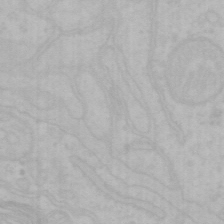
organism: Mouse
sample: Choroid plexus